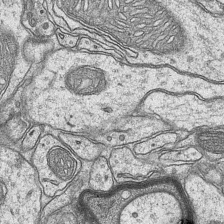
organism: Mouse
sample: CA1 Hippocampus